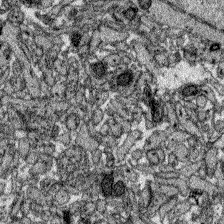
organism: Zebrafish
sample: Larval olfactory bulb